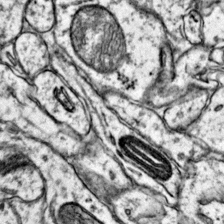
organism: Mouse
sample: Primary visual cortex